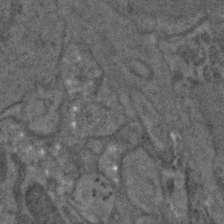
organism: C. elegans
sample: C. elegans embryo